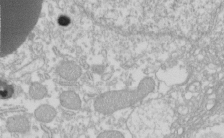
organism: Xenopus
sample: Cilia; centrioles in frog embryo cells